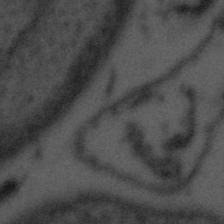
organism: Tuwongella immobilis